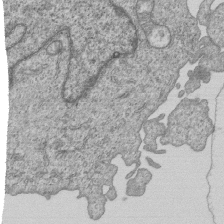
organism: Human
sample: MDA-MB-231 cells